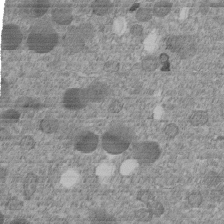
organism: C. elegans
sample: C. elegans embryo early stage